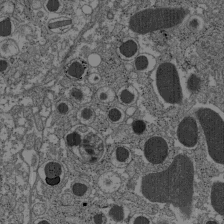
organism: C57BL Mouse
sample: Pancreatic islet